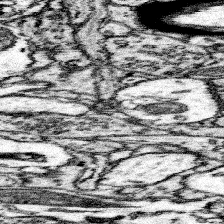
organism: Mouse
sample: Somatosensory cortex neuropil